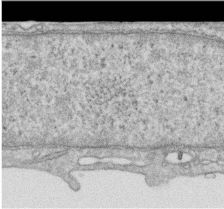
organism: Human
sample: Centriole in RPE cells